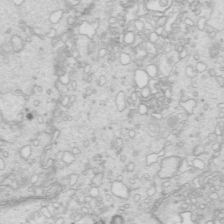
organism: Mouse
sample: Multiciliated cells